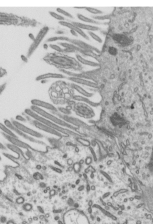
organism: Mouse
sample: Mouse epididymis efferent ductule cilia